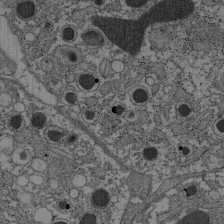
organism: C57BL Mouse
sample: Pancreatic islet